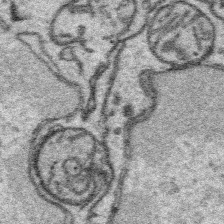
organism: Platynereis dumerilii